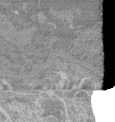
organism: Mouse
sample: Glomerulus